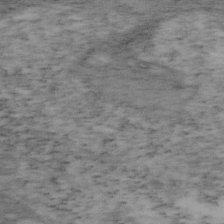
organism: Mouse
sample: OT-I killer T cells with ID8 ovarian cancer cells